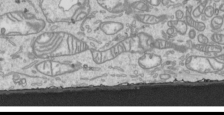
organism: Human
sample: Mitochondria in HCT116 cells